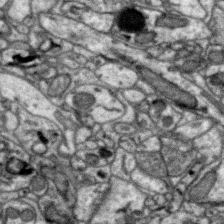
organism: Zebra finch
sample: Brain